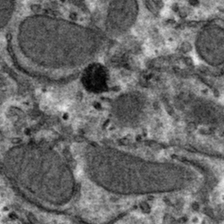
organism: Mouse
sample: Mouse hepatocytes